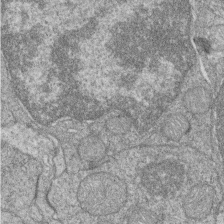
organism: Zebrafish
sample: Cilia; retinal pigment epithelium